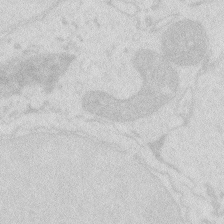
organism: Zebrafish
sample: Macrophage